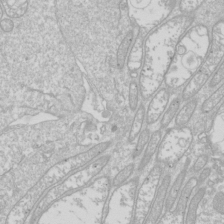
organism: Drosophila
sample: Cell division; meiosis; drosophila spermatocytes